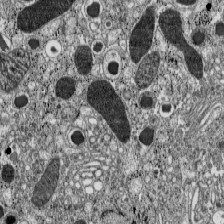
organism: C57BL Mouse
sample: Pancreatic islet